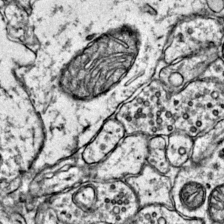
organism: Mouse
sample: Primary visual cortex